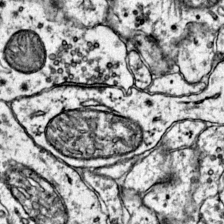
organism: Mouse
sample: Primary visual cortex